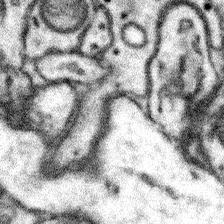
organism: Mouse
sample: Somatosensory cortex neuropil